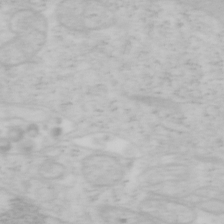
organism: Mouse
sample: OT-I killer T cells with ID8 ovarian cancer cells